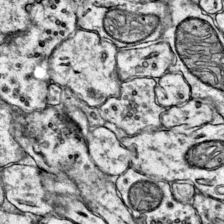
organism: Mouse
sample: Primary visual cortex